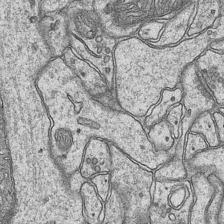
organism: Mouse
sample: CA1 Hippocampus